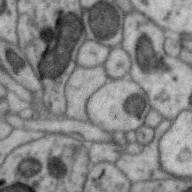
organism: Zebra finch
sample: Brain